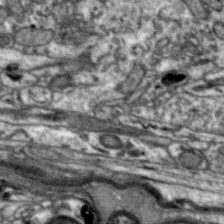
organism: Zebra finch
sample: Brain